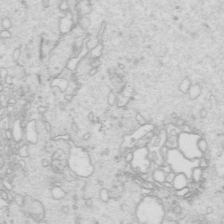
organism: Mouse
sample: Multiciliated cells